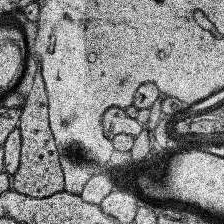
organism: Human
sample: Temporal Lobe